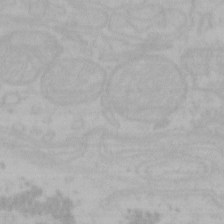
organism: Mouse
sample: Choroid plexus